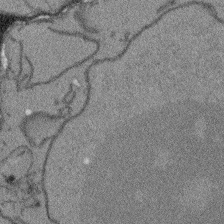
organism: Arabidopsis thaliana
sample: Root tip